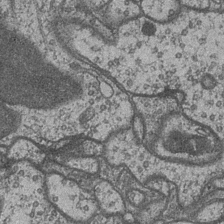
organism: Drosophila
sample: Optic medulla